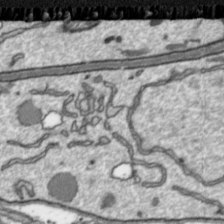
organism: Toxoplasma gondii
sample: Parasites in a vacuole inside a host cell